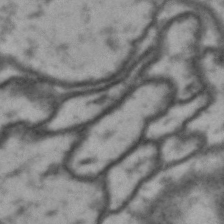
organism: Drosophila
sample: Brain